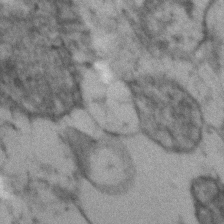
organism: Human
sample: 1205lu cells